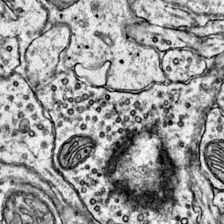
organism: Mouse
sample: Primary visual cortex